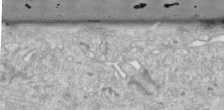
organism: Human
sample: Centriole in RPE cells